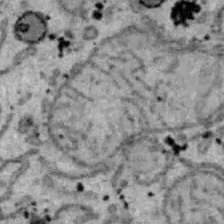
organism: Mouse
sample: Liver from an obese (ob/ob) mouse